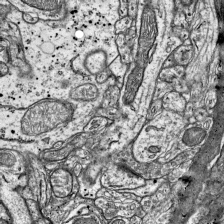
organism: Mouse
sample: Visual Cortex